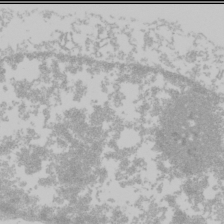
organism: Mouse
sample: Cancer cell death in ED-1 cells